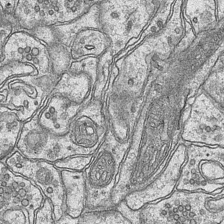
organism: Mouse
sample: CA1 Hippocampus